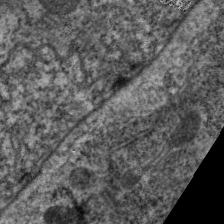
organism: C. elegans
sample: Pharynx